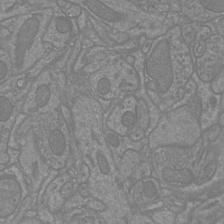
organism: Mouse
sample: Cortical neurons